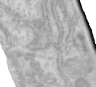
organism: Human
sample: Centriole in RPE cells